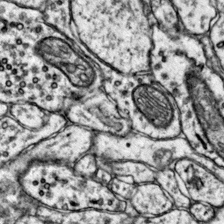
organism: Mouse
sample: Primary visual cortex